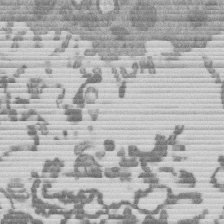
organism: Mouse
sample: Dividing mouse embryo 1 cell stage